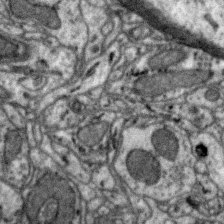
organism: Zebra finch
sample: Brain